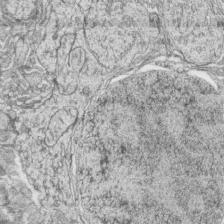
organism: Zebrafish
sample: synaptic ribbons in rod cells and cone cells